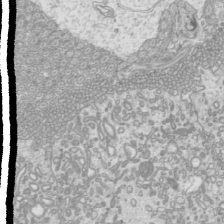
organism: Mouse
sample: Cilia; mouse epididymis